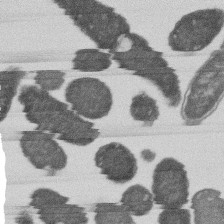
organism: E. coli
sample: Bacterial nucleoid